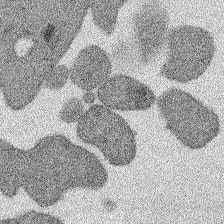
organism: Human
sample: HeLa cells